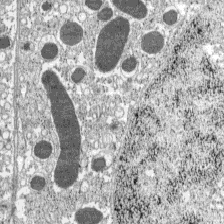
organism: C57BL Mouse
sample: Pancreatic islet